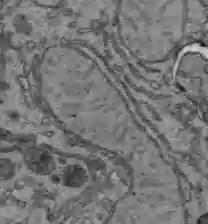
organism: C57BL Mouse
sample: Liver